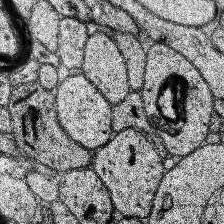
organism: Human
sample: Temporal Lobe